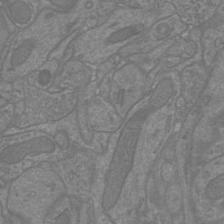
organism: Mouse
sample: Cortical neurons